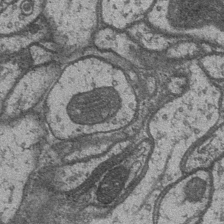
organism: Drosophila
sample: Optic medulla